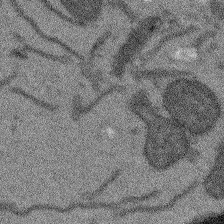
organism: Arabidopsis thaliana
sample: Root tip